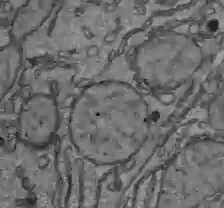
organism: C57BL Mouse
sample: Liver